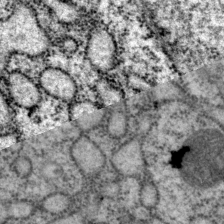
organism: P. pacificus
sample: Pharynx